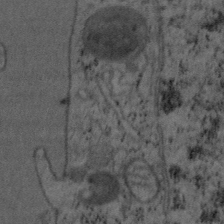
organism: Human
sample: HeLa cells